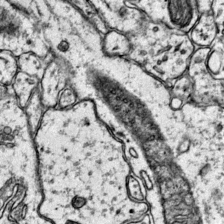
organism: Mouse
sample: Primary visual cortex